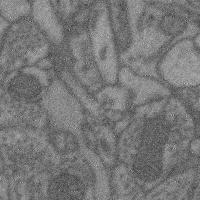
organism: Mouse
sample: Cerebral cortex